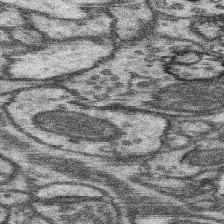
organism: Mouse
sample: Somatosensory cortex neuropil